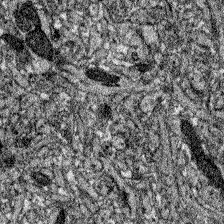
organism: Zebrafish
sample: Larval olfactory bulb